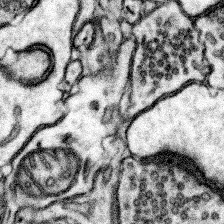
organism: Mouse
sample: Somatosensory cortex neuropil